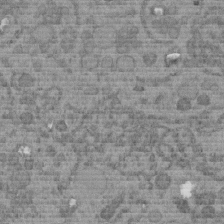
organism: C. elegans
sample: C. elegans embryo early stage